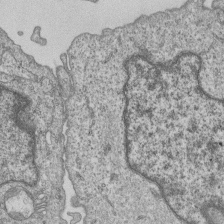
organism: Human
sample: MDA-MB-231 cells